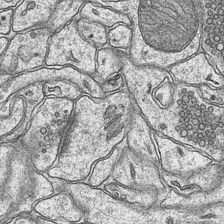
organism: Mouse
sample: CA1 Hippocampus